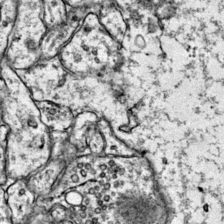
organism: Mouse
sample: Primary visual cortex